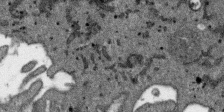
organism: Human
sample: Lung epithelial cells, uninfected (mock) control